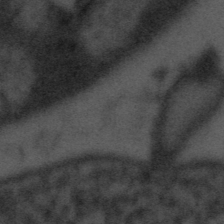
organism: Tuwongella immobilis